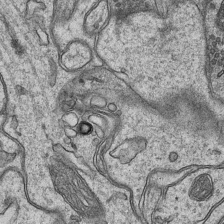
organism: Mouse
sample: CA1 Hippocampus